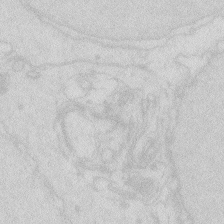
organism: Zebrafish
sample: Macrophage